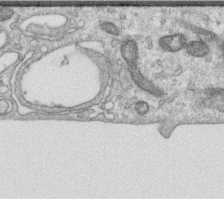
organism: Human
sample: Centriole in RPE cells